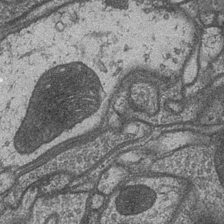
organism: Drosophila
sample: Optic medulla